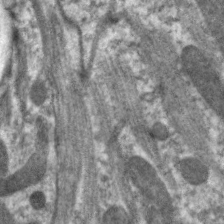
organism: C. elegans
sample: Pharynx